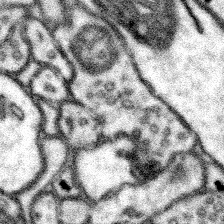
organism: Mouse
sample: Somatosensory cortex neuropil